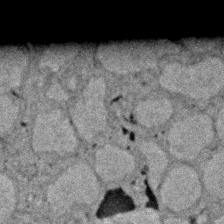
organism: Zebrafish